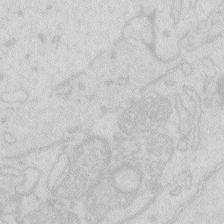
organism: Zebrafish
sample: Macrophage